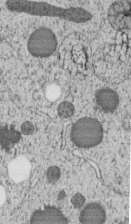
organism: C. elegans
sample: C. elegans embryo early stage